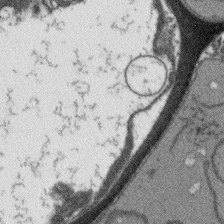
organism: Arabidopsis thaliana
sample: Root tip